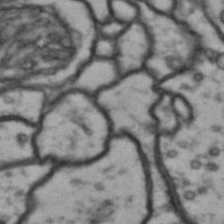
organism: Drosophila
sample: Brain